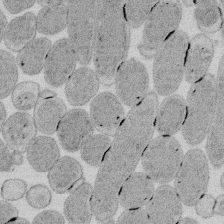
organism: E. coli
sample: Bacterial nucleoid